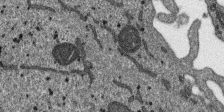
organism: Human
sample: Lung epithelial cells infected with SARS-CoV-2